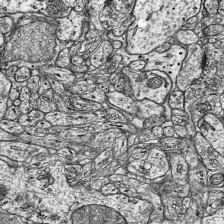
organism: Mouse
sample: Visual Cortex